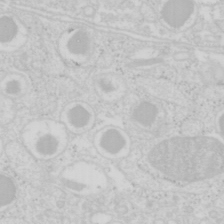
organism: Mouse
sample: Pancreas